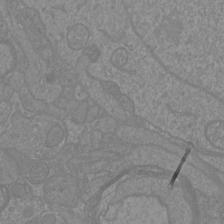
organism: Mouse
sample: Cortical neurons